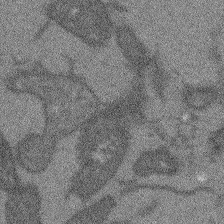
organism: Arabidopsis thaliana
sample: Root tip